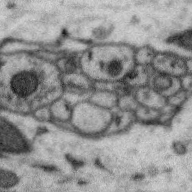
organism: Zebra finch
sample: Brain